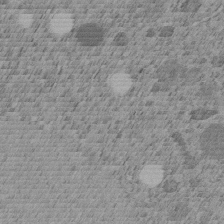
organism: C. elegans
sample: C. elegans embryo early stage